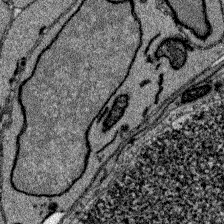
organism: Zebrafish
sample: Larval olfactory bulb